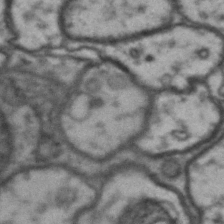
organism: Drosophila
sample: Brain